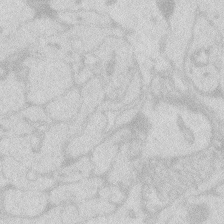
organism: Zebrafish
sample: Macrophage